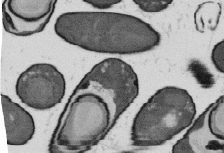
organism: B. subtilis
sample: Bacterial spore